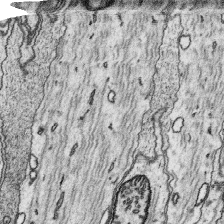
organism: Platynereis dumerilii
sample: Parapodia